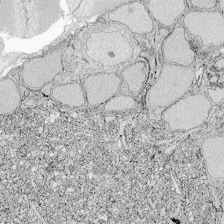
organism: Zebrafish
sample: Whole-Brain